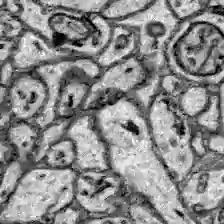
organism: Zebrafish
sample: Brain